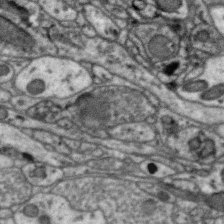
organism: Zebra finch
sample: Brain